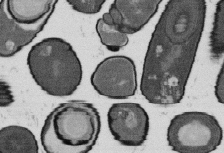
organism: B. subtilis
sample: Bacterial spore